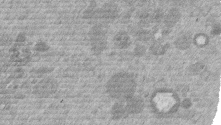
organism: Mouse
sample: Dividing mouse embryo 1 cell stage